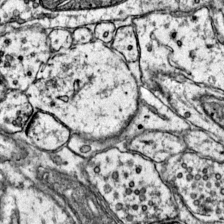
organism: Mouse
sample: Primary visual cortex